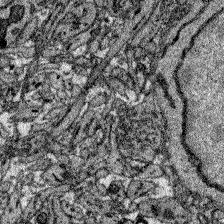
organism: Zebrafish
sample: Larval olfactory bulb